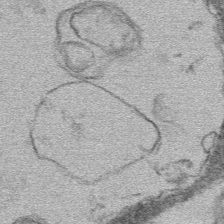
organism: Mouse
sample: Mouse hepatocytes